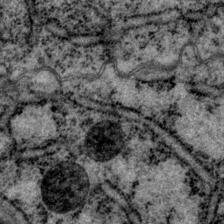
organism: P. pacificus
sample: Pharynx